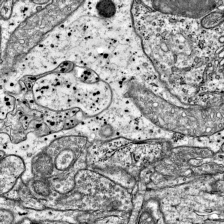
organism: Mouse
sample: Visual Cortex